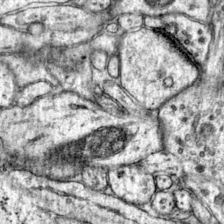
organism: Mouse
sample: Primary visual cortex